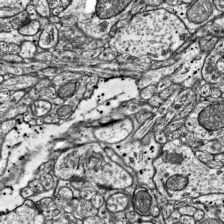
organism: Mouse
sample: Visual Cortex